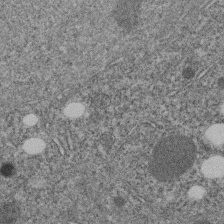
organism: C. elegans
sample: C. elegans embryo early stage